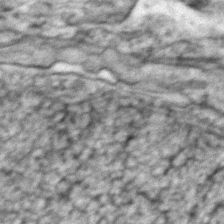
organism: Zebrafish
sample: Zebrafish embryo